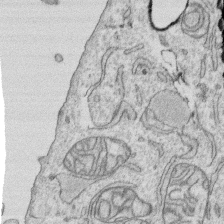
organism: Human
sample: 1205lu cells